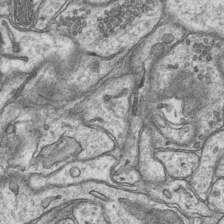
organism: Mouse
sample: CA1 Hippocampus